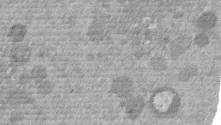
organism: Mouse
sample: Dividing mouse embryo 1 cell stage